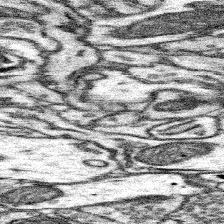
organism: Mouse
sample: Somatosensory cortex neuropil